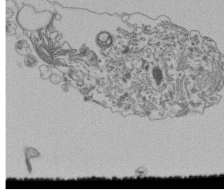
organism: Human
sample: Retinal organoid Rod and Cone cells